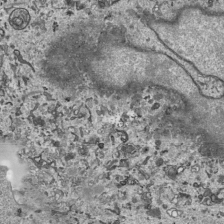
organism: Human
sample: Mitochondria in HCT116 cells